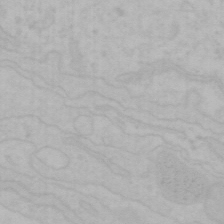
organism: Mouse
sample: Choroid plexus